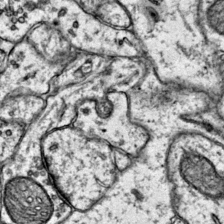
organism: Mouse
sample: Primary visual cortex